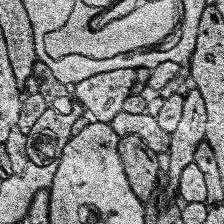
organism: Human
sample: Temporal Lobe